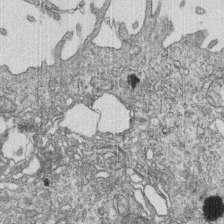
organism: Human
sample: HeLa cell HIV synapse